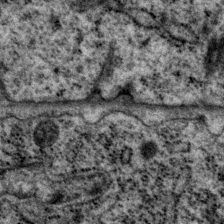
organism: P. pacificus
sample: Pharynx